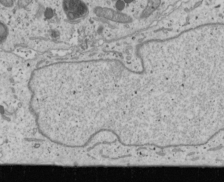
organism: Human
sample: Mitochondria in U2OS cells